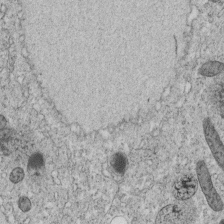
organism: C. elegans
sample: C. elegans embryo early stage